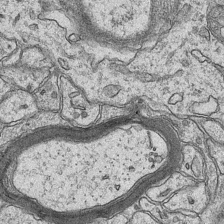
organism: Mouse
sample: CA1 Hippocampus